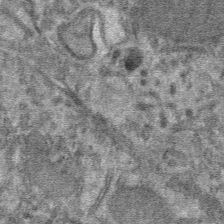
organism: Mouse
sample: Mouse hepatocytes